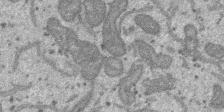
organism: Human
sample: Lung epithelial cells infected with SARS-CoV-2